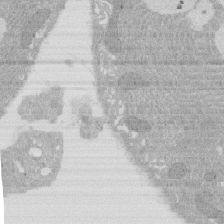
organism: Rat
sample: Salivary granule